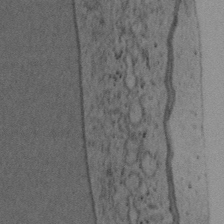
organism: Human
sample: HeLa cells